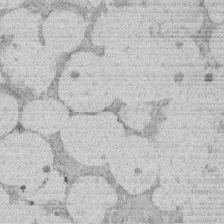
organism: Rat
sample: Salivary granule